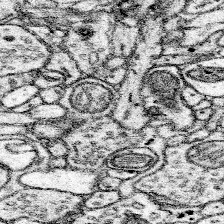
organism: Mouse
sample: Somatosensory cortex neuropil